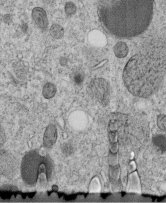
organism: C. elegans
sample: C. elegans embryo early stage